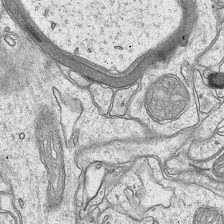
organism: Mouse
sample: CA1 Hippocampus